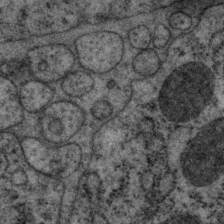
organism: P. pacificus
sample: Pharynx